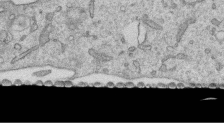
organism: Human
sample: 1205lu cells